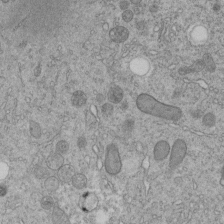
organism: C. elegans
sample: C. elegans embryo early stage